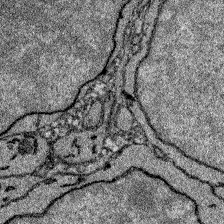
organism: Zebrafish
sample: Larval olfactory bulb